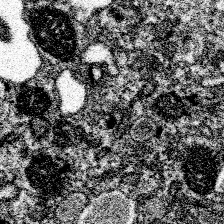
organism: Spongilla lacustris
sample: Neuroid cell